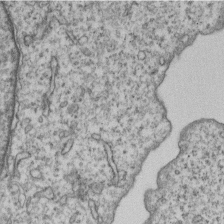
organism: Human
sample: MDA-MB-231 cells